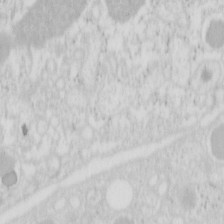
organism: Mouse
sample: Pancreas